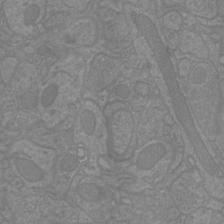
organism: Mouse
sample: Cortical neurons